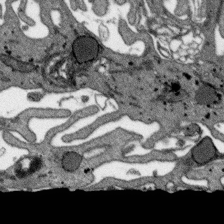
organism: Human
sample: Lung epithelial cells, uninfected (mock) control